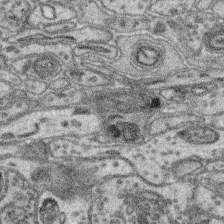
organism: Mouse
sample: Retina